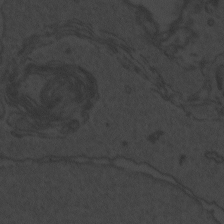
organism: Zebrafish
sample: Macrophage infected with Toxoplasma gondii